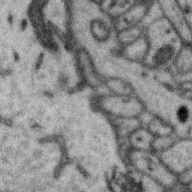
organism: Zebra finch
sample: Brain